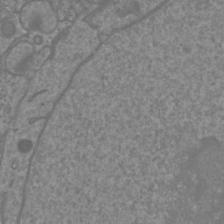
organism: Mouse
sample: Cortical neurons